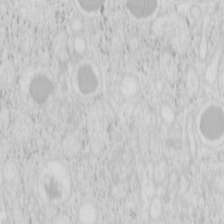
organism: Mouse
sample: Pancreas